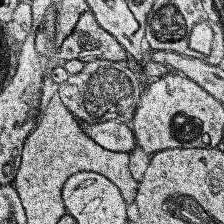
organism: Human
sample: Temporal Lobe